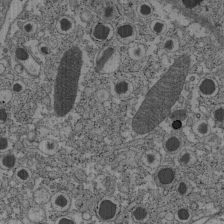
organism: C57BL Mouse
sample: Pancreatic islet